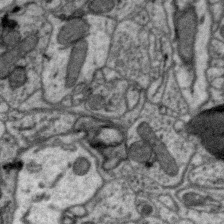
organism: Zebra finch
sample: Brain